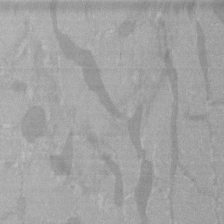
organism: C57BL Mouse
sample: Tibialis anterior muscle cell